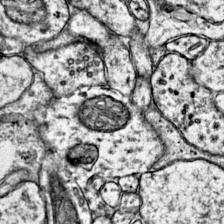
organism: Mouse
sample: Primary visual cortex